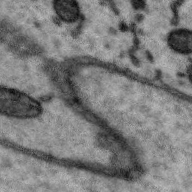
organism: Zebra finch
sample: Brain